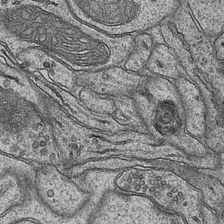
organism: Mouse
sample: CA1 Hippocampus